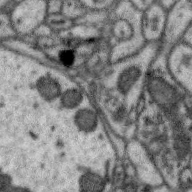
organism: Zebra finch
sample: Brain